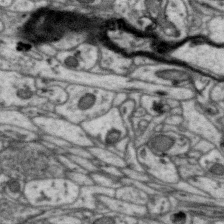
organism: Zebra finch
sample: Brain